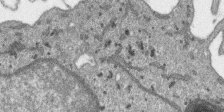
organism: Human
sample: Lung epithelial cells infected with SARS-CoV-2